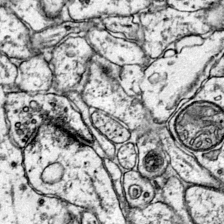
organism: Mouse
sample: Primary visual cortex